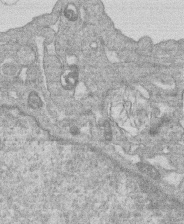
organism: Human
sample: Macrophage cells